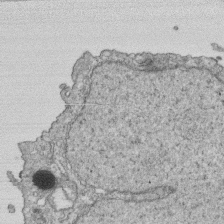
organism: Human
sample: HeLa cell HIV synapse